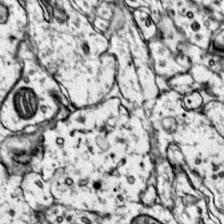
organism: Mouse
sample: Primary visual cortex